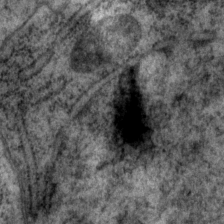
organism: P. pacificus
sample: Pharynx